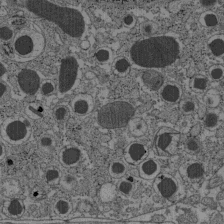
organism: C57BL Mouse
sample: Pancreatic islet